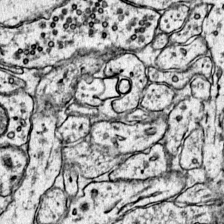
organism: Mouse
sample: Primary visual cortex